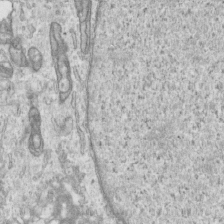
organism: Human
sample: Centriole in RPE cells